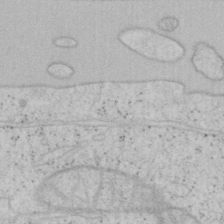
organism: Human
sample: HeLa cells